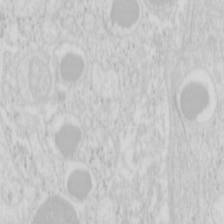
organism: Mouse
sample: Pancreas